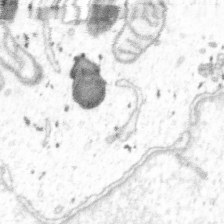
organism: Human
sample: HeLa cells